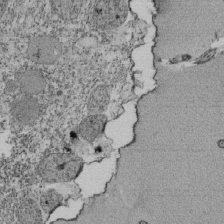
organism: Tetrahymena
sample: Cilia in tetrahymena